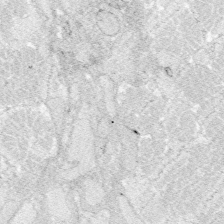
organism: Zebrafish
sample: Whole-Brain